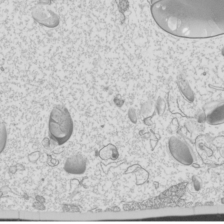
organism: Mouse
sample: Cilia; mouse epididymis